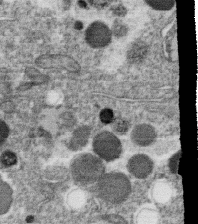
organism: C. elegans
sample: C. elegans oocyte; sperm cells